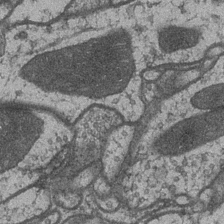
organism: Drosophila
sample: Optic medulla